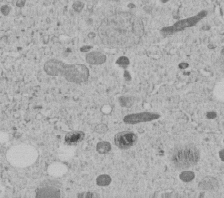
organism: C. elegans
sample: C. elegans embryo early stage